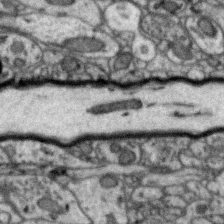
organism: Zebra finch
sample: Brain